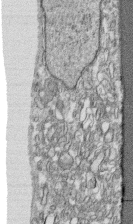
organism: Human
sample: CRL-1474